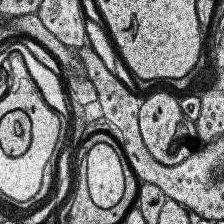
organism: Human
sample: Temporal Lobe